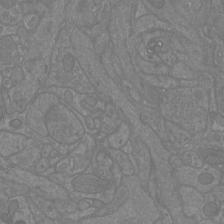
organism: Mouse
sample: Cortical neurons